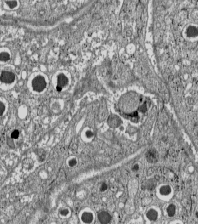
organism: C57BL Mouse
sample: Pancreatic islet